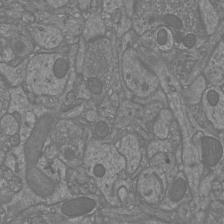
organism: Mouse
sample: Cortical neurons